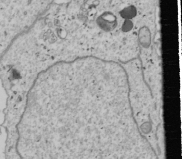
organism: Human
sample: Mitochondria in U2OS cells